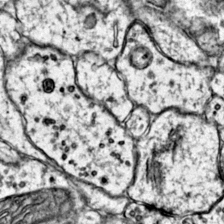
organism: Mouse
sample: Primary visual cortex